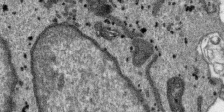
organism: Human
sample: Lung epithelial cells, uninfected (mock) control